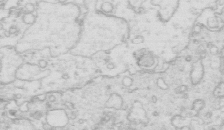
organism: Mouse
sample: Multiciliated cells